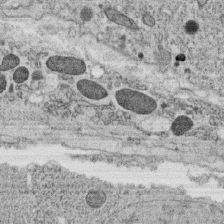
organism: C. elegans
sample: C. elegans oocyte; sperm cells